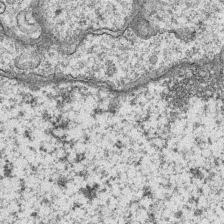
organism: Mouse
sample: CA1 Hippocampus